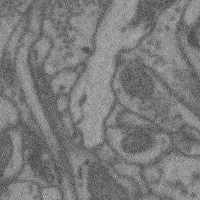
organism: Mouse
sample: Cerebral cortex